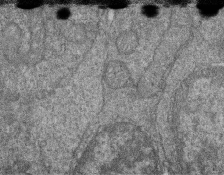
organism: Zebrafish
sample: Cilia; retinal pigment epithelium